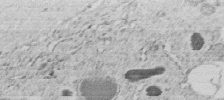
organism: C. elegans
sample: C. elegans embryo early stage